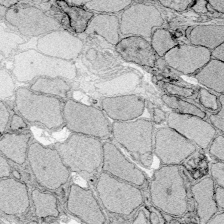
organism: Zebrafish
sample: Whole-Brain